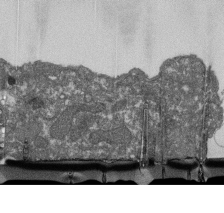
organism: Dictyostelium discoideum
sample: Dictyostelium multivesicular bodies